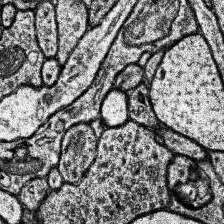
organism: Human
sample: Temporal Lobe